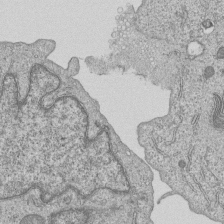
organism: Human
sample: MDA-MB-231 cells